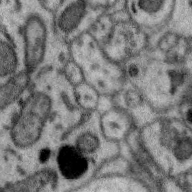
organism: Zebra finch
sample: Brain